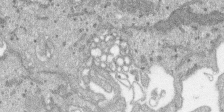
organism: Human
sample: Lung epithelial cells infected with SARS-CoV-2